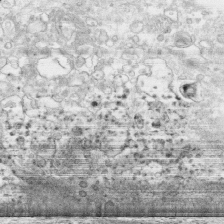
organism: Human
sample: CRL-1474